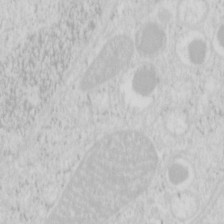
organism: Mouse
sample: Pancreas